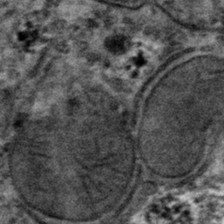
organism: Mouse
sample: Mouse hepatocytes